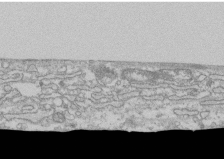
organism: Human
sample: CRL-1474